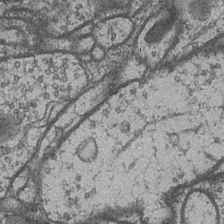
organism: Drosophila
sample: Optic medulla